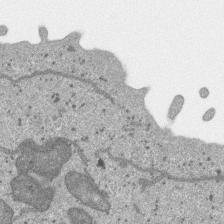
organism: Human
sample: Lung epithelial cells infected with SARS-CoV-2